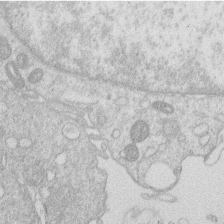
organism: Human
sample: Macrophage cells